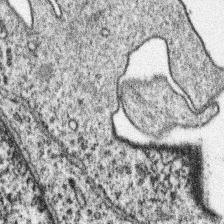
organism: Human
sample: HeLa cells